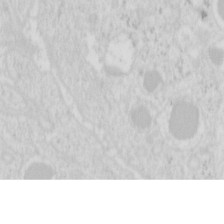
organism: Mouse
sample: Pancreas